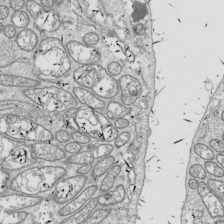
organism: Drosophila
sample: Cell division; meiosis; drosophila spermatocytes